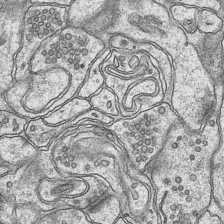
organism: Mouse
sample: CA1 Hippocampus